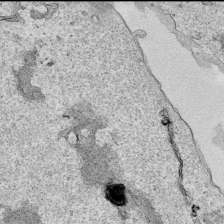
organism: Human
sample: Mitochondria in HCT116 cells